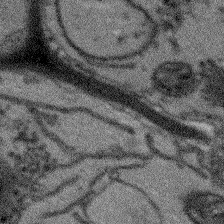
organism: Arabidopsis thaliana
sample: Root tip